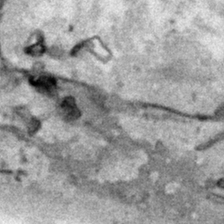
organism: Human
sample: Mitochondria in HCT116 cells